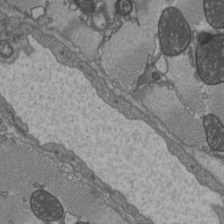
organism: C57BL Mouse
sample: Heart